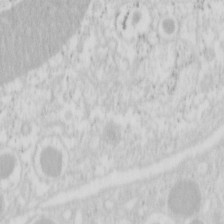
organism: Mouse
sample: Pancreas